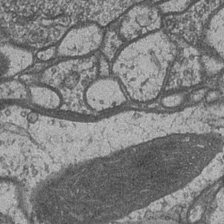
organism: Drosophila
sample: Optic medulla